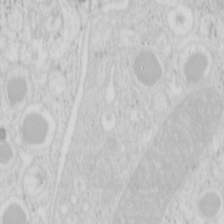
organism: Mouse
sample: Pancreas